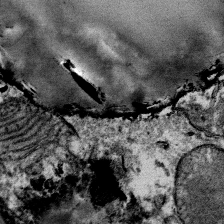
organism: Mouse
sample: Mouse Salivary gland